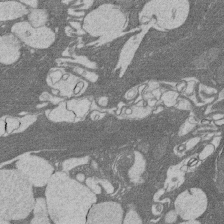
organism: Rat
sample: Salivary granule